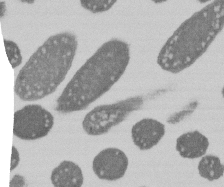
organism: E. coli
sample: Bacterial nucleoid